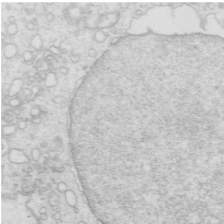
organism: Mouse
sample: Multiciliated cells